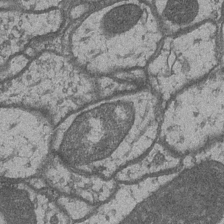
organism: Drosophila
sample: Optic medulla